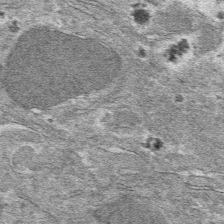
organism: Mouse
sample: Mouse hepatocytes